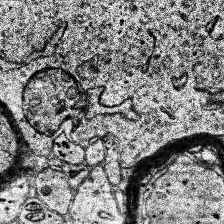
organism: Human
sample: Temporal Lobe